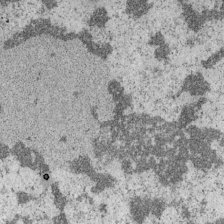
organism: Mouse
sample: OT-I killer T cells with ID8 ovarian cancer cells